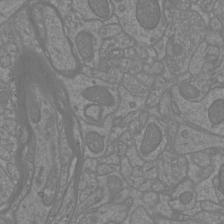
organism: Mouse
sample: Cortical neurons